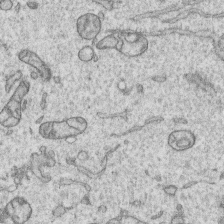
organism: Human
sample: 1205lu cells